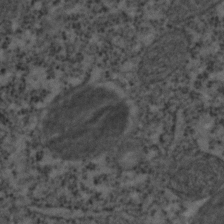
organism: C. elegans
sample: C. elegans embryo